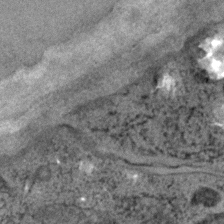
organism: C. elegans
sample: C. elegans embryo